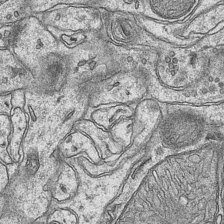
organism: Mouse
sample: CA1 Hippocampus